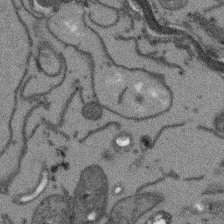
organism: Arabidopsis thaliana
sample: Root tip